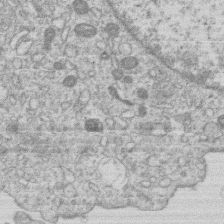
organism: Human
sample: Macrophage cells